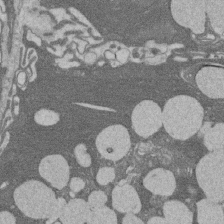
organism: Rat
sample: Salivary granule